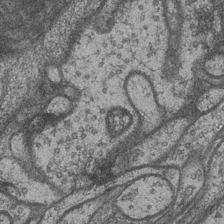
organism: Drosophila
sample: Optic medulla